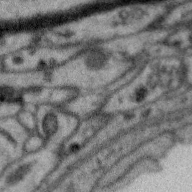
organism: Zebra finch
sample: Brain